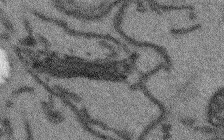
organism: Arabidopsis thaliana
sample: Root tip